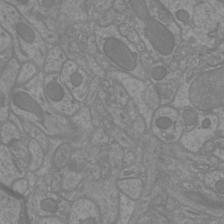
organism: Mouse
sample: Cortical neurons